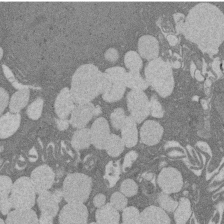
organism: Rat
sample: Salivary granule